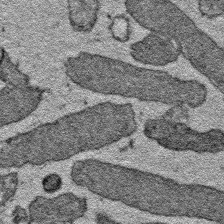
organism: E. coli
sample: E. Coli Bacteria